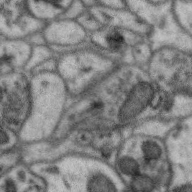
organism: Zebra finch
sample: Brain